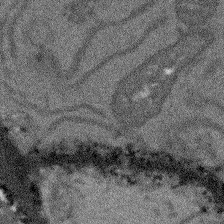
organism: Arabidopsis thaliana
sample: Root tip